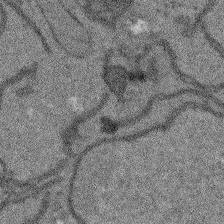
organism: Arabidopsis thaliana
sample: Root tip